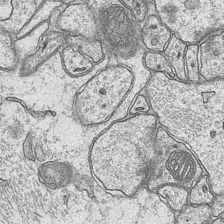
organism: Mouse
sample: CA1 Hippocampus